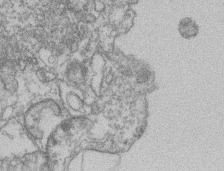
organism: Mouse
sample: T cell stromal cell synapse